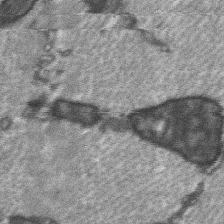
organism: C57BL Mouse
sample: Soleus